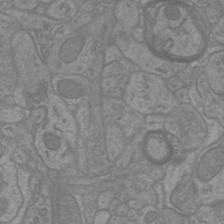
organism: Mouse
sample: Cortical neurons